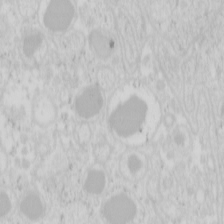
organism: Mouse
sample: Pancreas